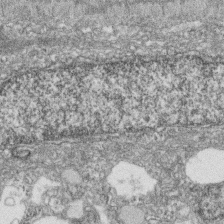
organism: Zebrafish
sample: Cilia; retinal pigment epithelium